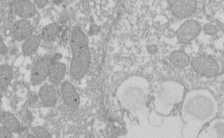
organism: Xenopus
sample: Cilia; centrioles in frog embryo cells